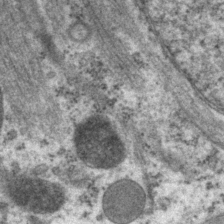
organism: P. pacificus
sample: Pharynx